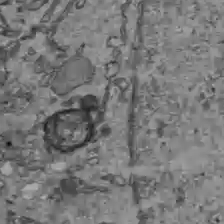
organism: C57BL Mouse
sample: Liver